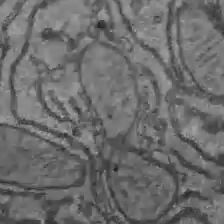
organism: C57BL Mouse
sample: Liver